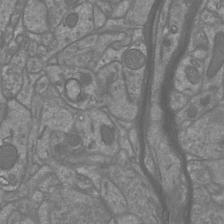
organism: Mouse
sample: Cortical neurons